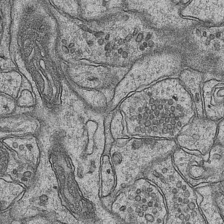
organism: Mouse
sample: CA1 Hippocampus